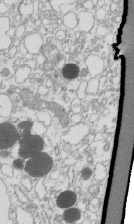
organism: Mouse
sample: Macrophages